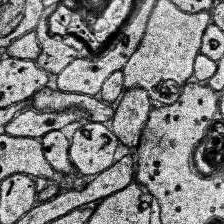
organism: Human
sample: Temporal Lobe